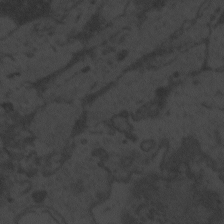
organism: Zebrafish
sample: Macrophage infected with Toxoplasma gondii